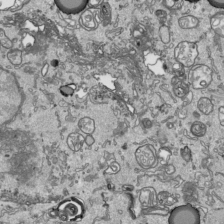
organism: Human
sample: Mitochondria in HCT116 cells